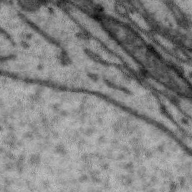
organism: Zebra finch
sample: Brain